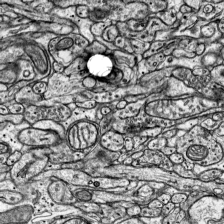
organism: Mouse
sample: Visual Cortex